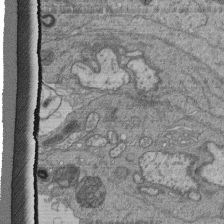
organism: Human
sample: Retinal organoid Rod and Cone cells